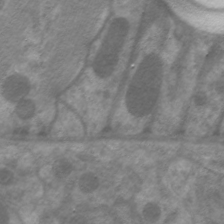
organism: C. elegans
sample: Pharynx